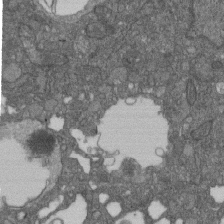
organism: Drosophila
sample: Nephrocyte